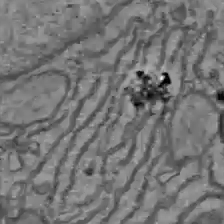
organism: C57BL Mouse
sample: Liver